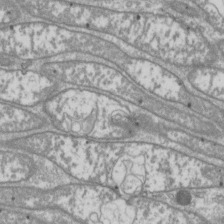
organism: Drosophila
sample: Cell division; meiosis; drosophila spermatocytes